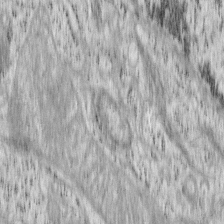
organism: Human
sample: HeLa cells